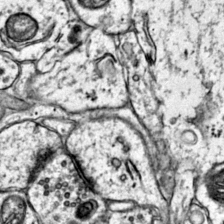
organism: Mouse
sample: Primary visual cortex